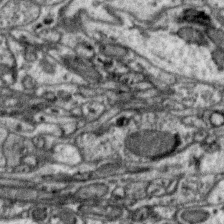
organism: Zebra finch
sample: Brain